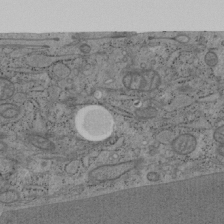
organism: Human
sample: HeLa cells